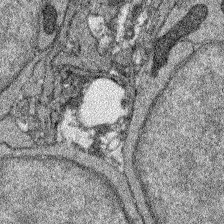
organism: Zebrafish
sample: Larval olfactory bulb